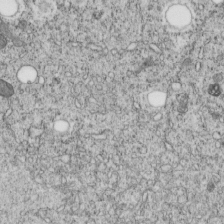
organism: C. elegans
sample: C. elegans embryo early stage